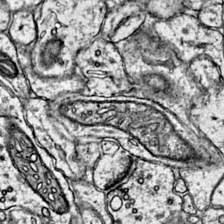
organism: Mouse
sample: Primary visual cortex